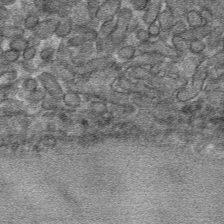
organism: Mouse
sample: Mouse hepatocytes